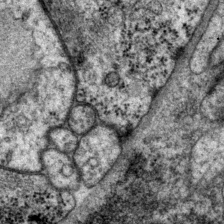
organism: P. pacificus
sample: Pharynx